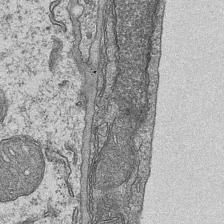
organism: Mouse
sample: CA1 Hippocampus